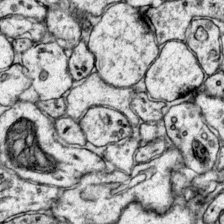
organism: Mouse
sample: Primary visual cortex